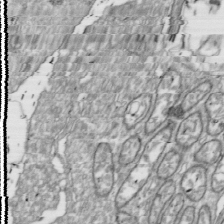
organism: Drosophila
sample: Cell division; meiosis; drosophila spermatocytes